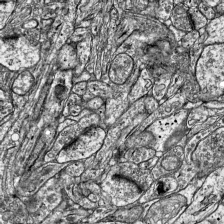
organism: Mouse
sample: Visual Cortex